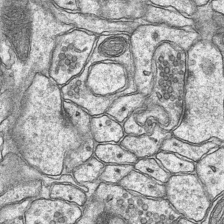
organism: Mouse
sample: CA1 Hippocampus